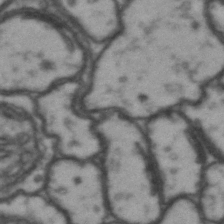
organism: Drosophila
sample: Brain